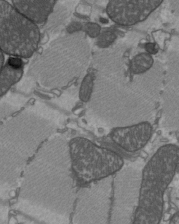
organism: C57BL Mouse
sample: Heart